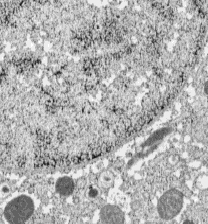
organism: C57BL Mouse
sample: Pancreatic islet